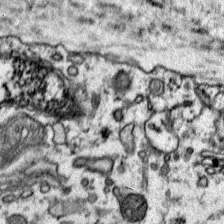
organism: Mouse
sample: Primary visual cortex